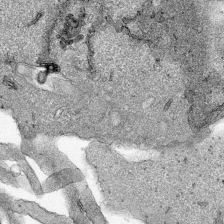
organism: Human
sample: Mitochondria in HCT116 cells